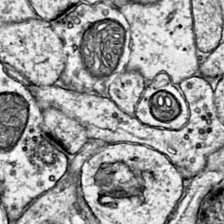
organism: Mouse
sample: Primary visual cortex